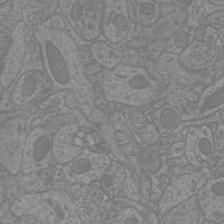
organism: Mouse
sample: Cortical neurons